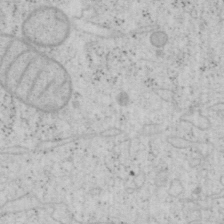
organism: Human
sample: HeLa cells